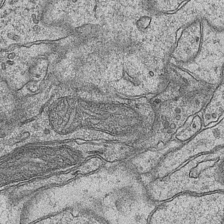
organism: Mouse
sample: CA1 Hippocampus